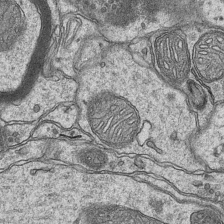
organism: Mouse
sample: CA1 Hippocampus